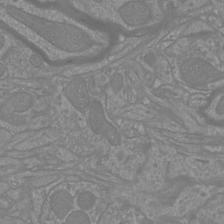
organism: Mouse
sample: Cortical neurons